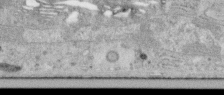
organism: Human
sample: Centriole in RPE cells